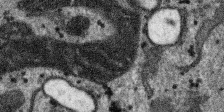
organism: Human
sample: Lung epithelial cells infected with SARS-CoV-2